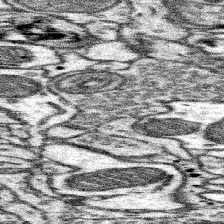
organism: Mouse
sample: Somatosensory cortex neuropil